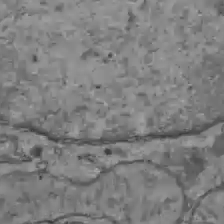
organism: C57BL Mouse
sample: Liver